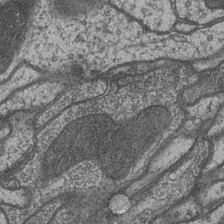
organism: Drosophila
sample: Optic medulla